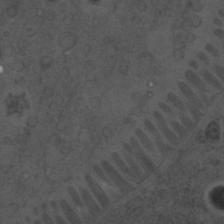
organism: C. elegans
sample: C. elegans embryo